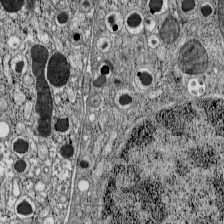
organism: C57BL Mouse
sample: Pancreatic islet